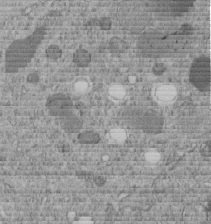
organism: C. elegans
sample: C. elegans embryo early stage